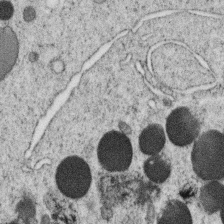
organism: C. elegans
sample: C. elegans oocyte; sperm cells